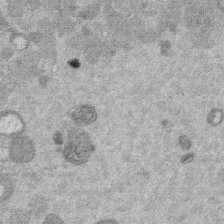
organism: Mouse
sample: Dividing mouse embryo 1 cell stage